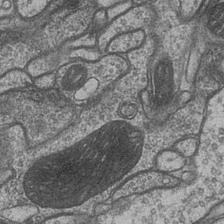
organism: Drosophila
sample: Optic medulla